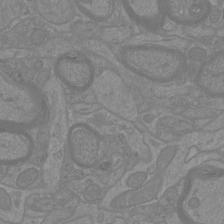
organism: Mouse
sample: Cortical neurons